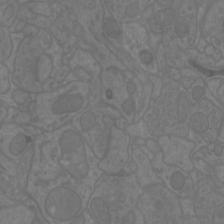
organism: Mouse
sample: Cortical neurons